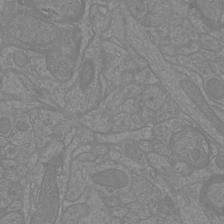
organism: Mouse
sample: Cortical neurons